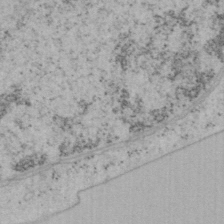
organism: Human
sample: HeLa cells